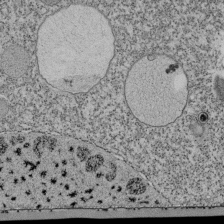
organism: Tetrahymena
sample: Cilia in tetrahymena